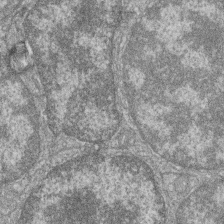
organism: Zebrafish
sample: Cilia; retinal pigment epithelium